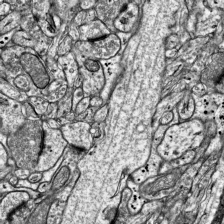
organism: Mouse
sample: Visual Cortex